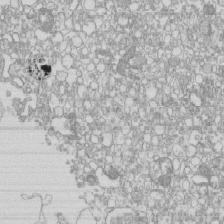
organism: Mouse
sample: Macrophages